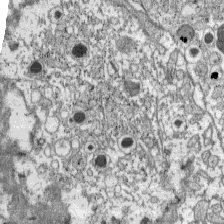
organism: C57BL Mouse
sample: Pancreatic islet